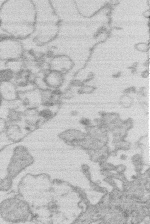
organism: Human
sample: Macrophage cells